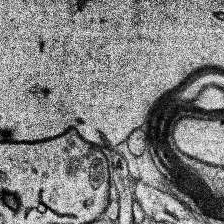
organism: Human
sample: Temporal Lobe